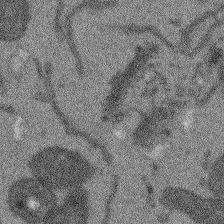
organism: Arabidopsis thaliana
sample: Root tip